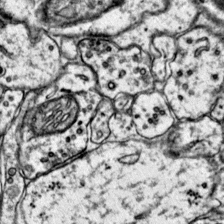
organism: Mouse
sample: Primary visual cortex